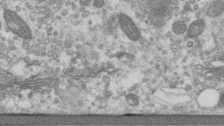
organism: Human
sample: Centriole in RPE cells